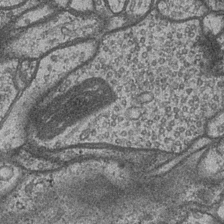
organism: Drosophila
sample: Optic medulla